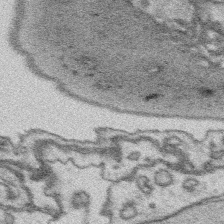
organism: Platynereis dumerilii